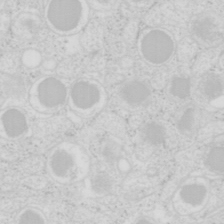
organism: Mouse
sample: Pancreas